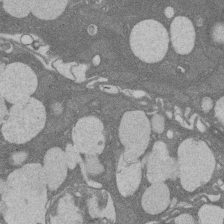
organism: Rat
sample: Salivary granule